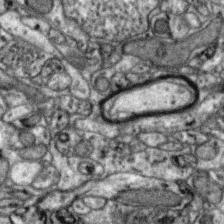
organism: Zebra finch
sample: Brain